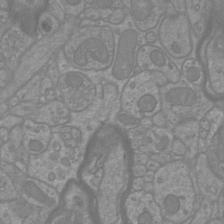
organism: Mouse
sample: Cortical neurons